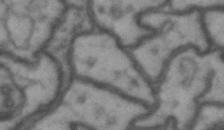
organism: Drosophila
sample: Brain